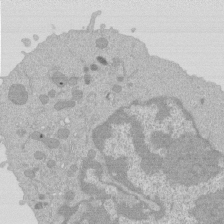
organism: Mouse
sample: Activated Pmel transgenic CD8+ T Cells